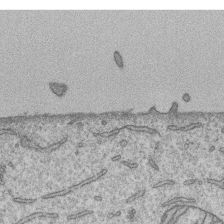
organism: Human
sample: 1205lu cells